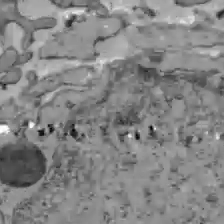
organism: C57BL Mouse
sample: Liver